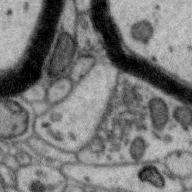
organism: Zebra finch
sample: Brain